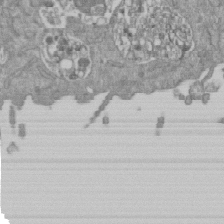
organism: Mouse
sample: ED-1 cell nuclei; centrioles